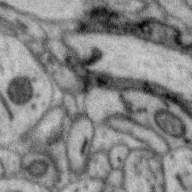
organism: Zebra finch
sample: Brain